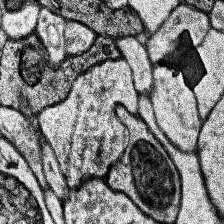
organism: Human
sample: Temporal Lobe